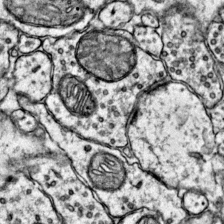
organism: Mouse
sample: Primary visual cortex